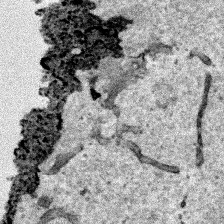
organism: Human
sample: Mitochondria in HCT116 cells